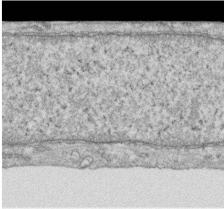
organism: Human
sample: Centriole in RPE cells